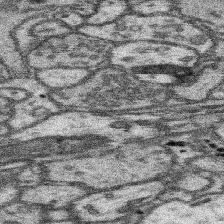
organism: Mouse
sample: Somatosensory cortex neuropil